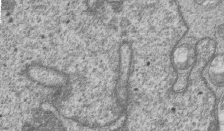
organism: Human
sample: MDA-MB-231 cells